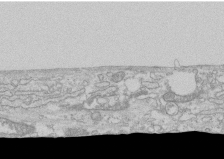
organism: Human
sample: CRL-1474